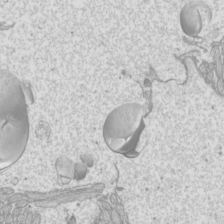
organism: Mouse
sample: Cilia; mouse epididymis